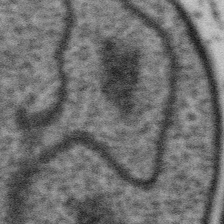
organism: Gemmata obscuriglobus